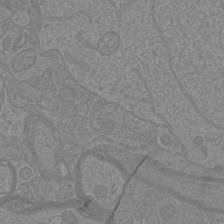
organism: Mouse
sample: Cortical neurons